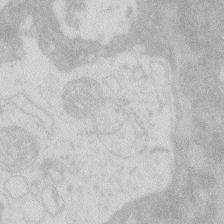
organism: Zebrafish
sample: Macrophage